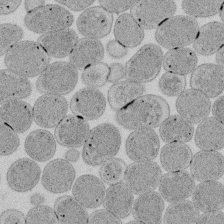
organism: E. coli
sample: Bacterial nucleoid